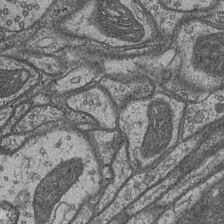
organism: Drosophila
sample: Optic medulla